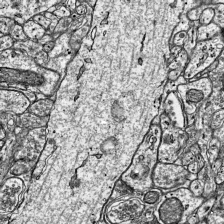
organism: Mouse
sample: Visual Cortex